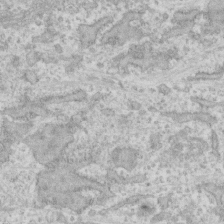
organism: Human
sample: CRL-1474